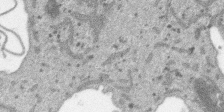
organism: Human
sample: Lung epithelial cells infected with SARS-CoV-2